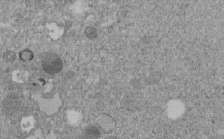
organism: C. elegans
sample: C. elegans embryo early stage